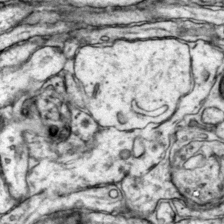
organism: Mouse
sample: Primary visual cortex